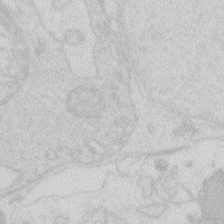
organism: Zebrafish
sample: Macrophage